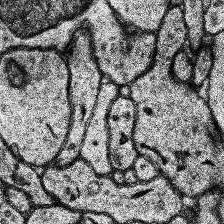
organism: Human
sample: Temporal Lobe